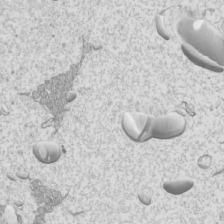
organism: Mouse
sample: Cilia; mouse epididymis